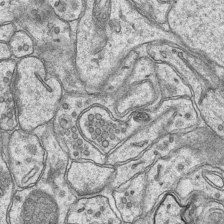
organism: Mouse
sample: CA1 Hippocampus